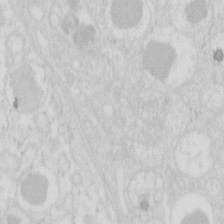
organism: Mouse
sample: Pancreas